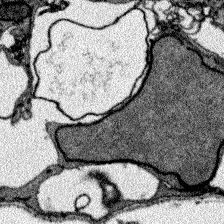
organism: Zebrafish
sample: Larval olfactory bulb